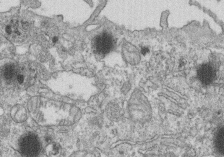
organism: Human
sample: HeLa cell HIV synapse